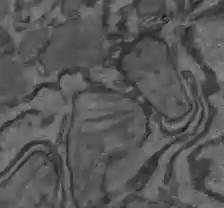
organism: C57BL Mouse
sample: Liver